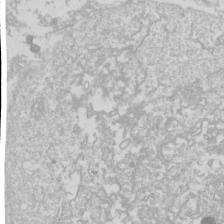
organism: Drosophila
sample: Cell division; meiosis; drosophila spermatocytes